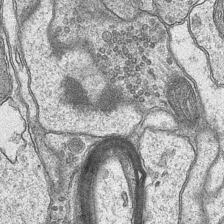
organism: Mouse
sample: CA1 Hippocampus